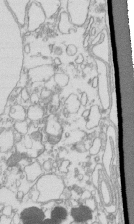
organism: Mouse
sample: Macrophages